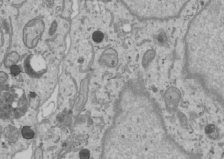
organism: Human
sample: Mitochondria in U2OS cells